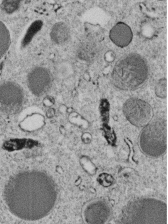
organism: C. elegans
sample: C. elegans embryo early stage